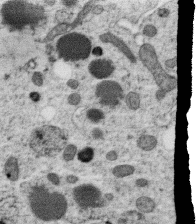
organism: C. elegans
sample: C. elegans oocyte; sperm cells